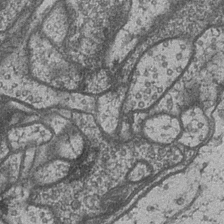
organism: Drosophila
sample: Optic medulla